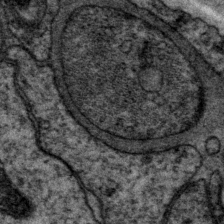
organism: P. pacificus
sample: Pharynx